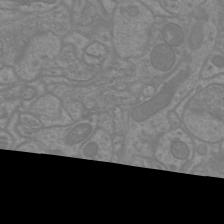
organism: Mouse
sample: Cortical neurons